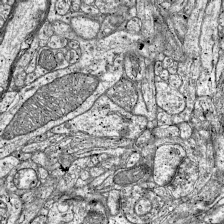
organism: Mouse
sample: Visual Cortex